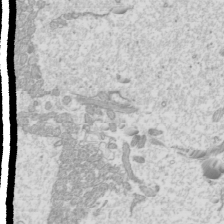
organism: Mouse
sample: Cilia; mouse epididymis